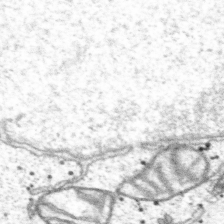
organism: Human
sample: HeLa cells